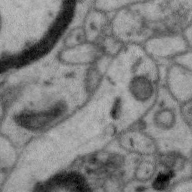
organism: Zebra finch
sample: Brain